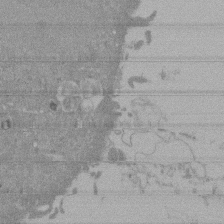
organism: Mouse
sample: ED-1 cell nuclei; centrioles